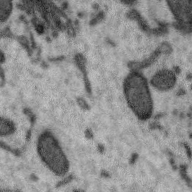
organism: Zebra finch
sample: Brain